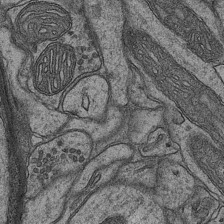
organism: Mouse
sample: CA1 Hippocampus